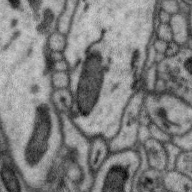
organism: Zebra finch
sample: Brain